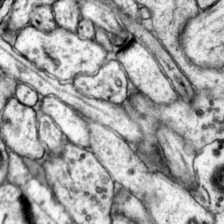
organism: Mouse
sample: Primary visual cortex